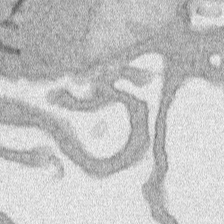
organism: Human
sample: Mitochondria in HCT116 cells